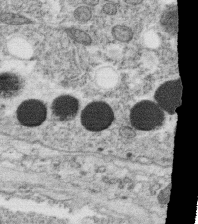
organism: C. elegans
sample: C. elegans oocyte; sperm cells